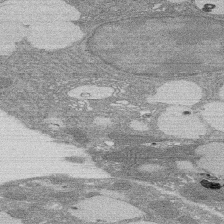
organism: Rat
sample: Salivary granule